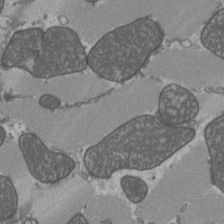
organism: C57BL Mouse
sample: Heart